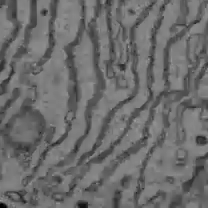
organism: C57BL Mouse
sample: Liver